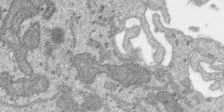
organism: Human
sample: Lung epithelial cells infected with SARS-CoV-2